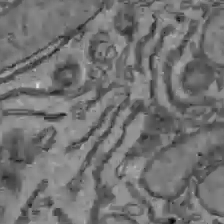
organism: C57BL Mouse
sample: Liver